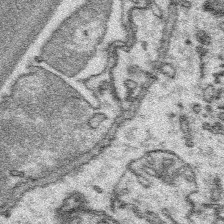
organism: Platynereis dumerilii